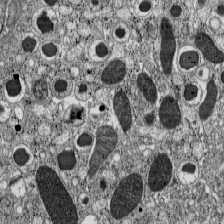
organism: C57BL Mouse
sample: Pancreatic islet